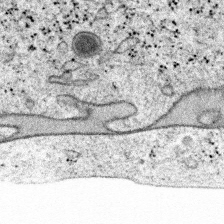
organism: Human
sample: HeLa cells